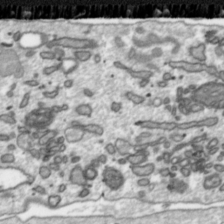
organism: Toxoplasma gondii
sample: Parasites in a vacuole inside a host cell